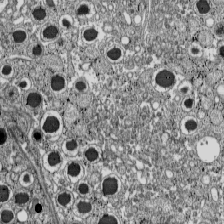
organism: C57BL Mouse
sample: Pancreatic islet